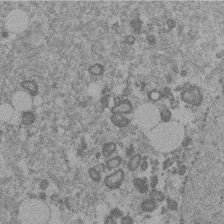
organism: Mouse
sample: Dividing mouse embryo 1 cell stage